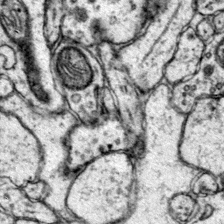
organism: Mouse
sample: Primary visual cortex